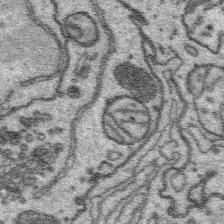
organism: Platynereis dumerilii